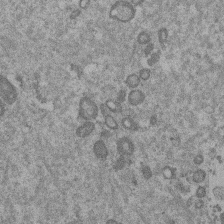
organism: Mouse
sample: Dividing mouse embryo 1 cell stage